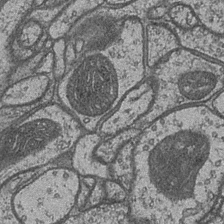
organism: Drosophila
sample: Optic medulla